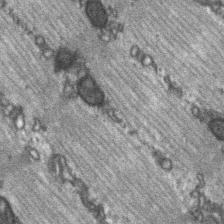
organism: C57BL Mouse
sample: Soleus